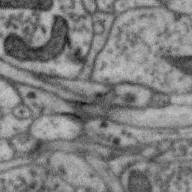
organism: Zebra finch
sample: Brain